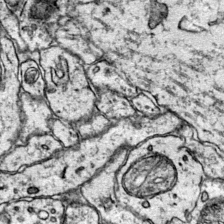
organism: Mouse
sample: Primary visual cortex